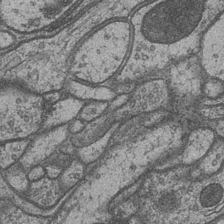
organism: Drosophila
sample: Optic medulla